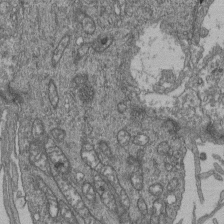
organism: Human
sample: Retinal organoid Rod and Cone cells